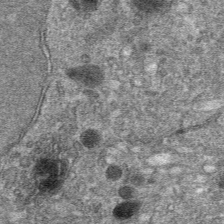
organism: Mouse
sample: Mouse hepatocytes